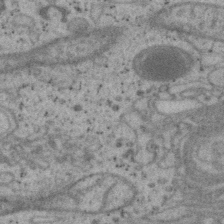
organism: Human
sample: HeLa cells